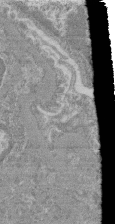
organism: Mouse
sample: Glomerulus